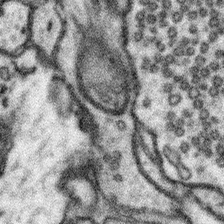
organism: Mouse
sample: Somatosensory cortex neuropil